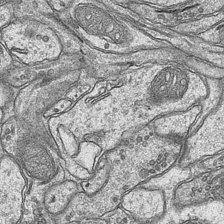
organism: Mouse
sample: CA1 Hippocampus